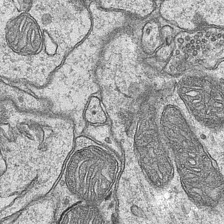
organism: Mouse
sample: CA1 Hippocampus